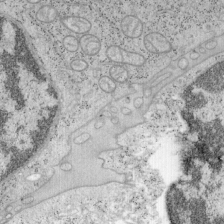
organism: Mouse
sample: OT-I killer T cells with ID8 ovarian cancer cells